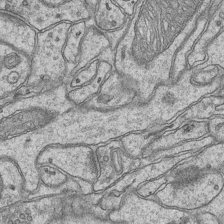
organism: Mouse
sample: CA1 Hippocampus